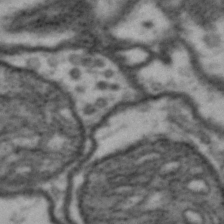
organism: Drosophila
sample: Brain